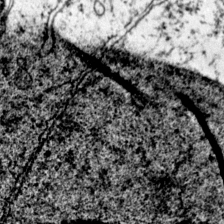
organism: Mouse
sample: Primary visual cortex